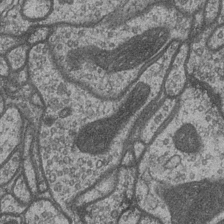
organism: Drosophila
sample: Optic medulla